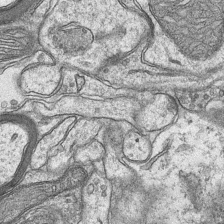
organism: Mouse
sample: CA1 Hippocampus